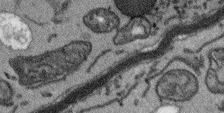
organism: Arabidopsis thaliana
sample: Root tip